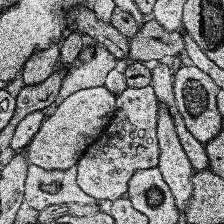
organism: Human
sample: Temporal Lobe